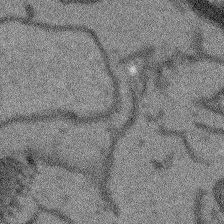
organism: Arabidopsis thaliana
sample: Root tip